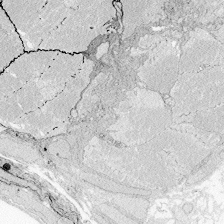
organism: Zebrafish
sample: Whole-Brain